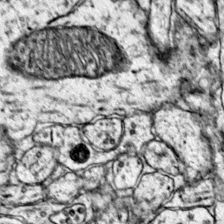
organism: Mouse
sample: Primary visual cortex